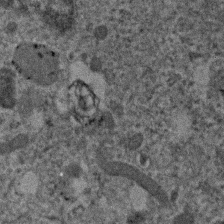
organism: Human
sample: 1205lu cells